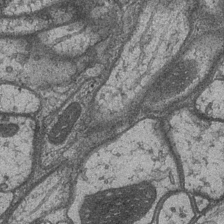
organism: Drosophila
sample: Optic medulla